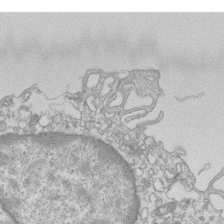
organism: Mouse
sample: Macrophages